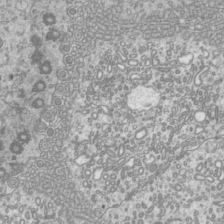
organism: Mouse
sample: Cilia; mouse epididymis